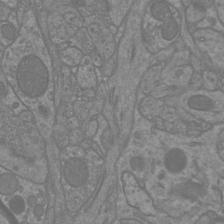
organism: Mouse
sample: Cortical neurons